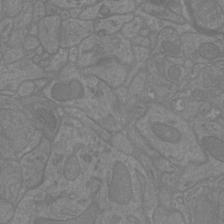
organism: Mouse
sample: Cortical neurons